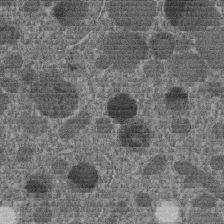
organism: C. elegans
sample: C. elegans embryo early stage